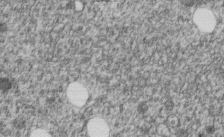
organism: C. elegans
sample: C. elegans embryo early stage